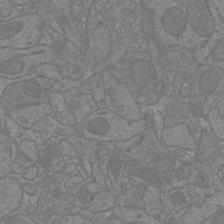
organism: Mouse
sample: Cortical neurons